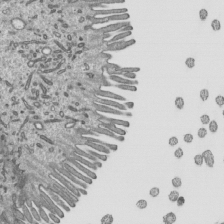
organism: Mouse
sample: Mouse epididymis efferent ductule cilia